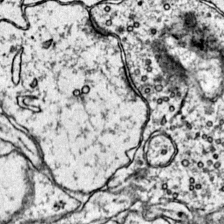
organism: Mouse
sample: Primary visual cortex